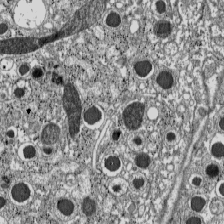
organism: C57BL Mouse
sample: Pancreatic islet